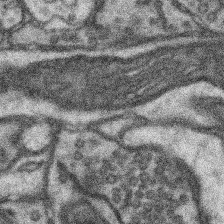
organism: Mouse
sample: Somatosensory cortex neuropil